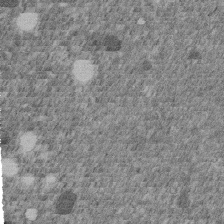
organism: C. elegans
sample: C. elegans embryo early stage